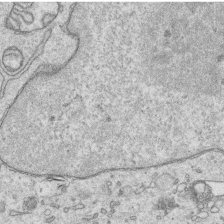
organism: Human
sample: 1205lu cells